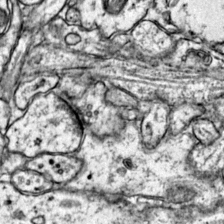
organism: Mouse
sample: Primary visual cortex